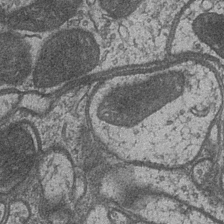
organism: Drosophila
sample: Optic medulla